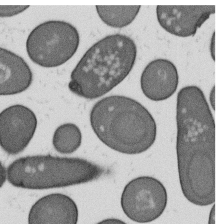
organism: B. subtilis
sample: Bacterial spore